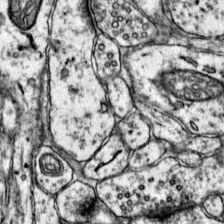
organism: Mouse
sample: Primary visual cortex